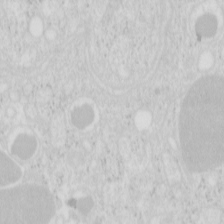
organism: Mouse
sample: Pancreas